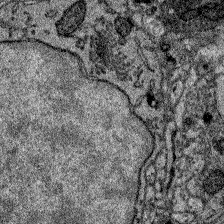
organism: Zebrafish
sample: Larval olfactory bulb